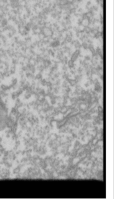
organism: Drosophila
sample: Cell division; meiosis; drosophila spermatocytes